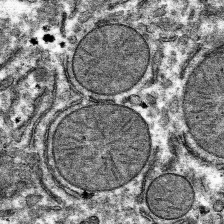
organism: Mouse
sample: Mouse hepatocytes